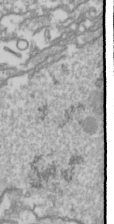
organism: Drosophila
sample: Cell division; meiosis; drosophila spermatocytes